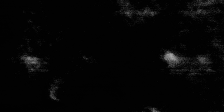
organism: Human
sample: Lung epithelial cells infected with SARS-CoV-2